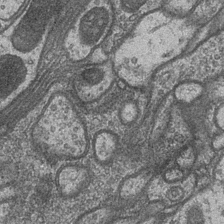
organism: Drosophila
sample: Optic medulla